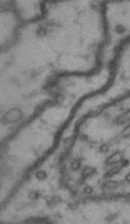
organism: Drosophila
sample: Brain